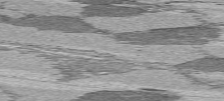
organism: C57BL Mouse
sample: Heart